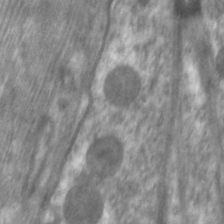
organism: C. elegans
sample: Pharynx